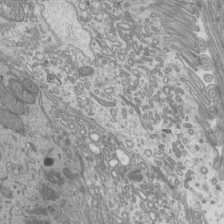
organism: Mouse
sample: Cilia; mouse epididymis